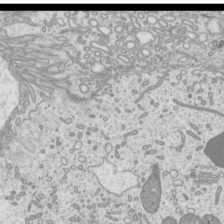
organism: Mouse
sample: Cilia; mouse epididymis